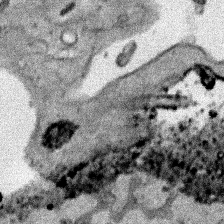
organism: Human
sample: Mitochondria in HCT116 cells